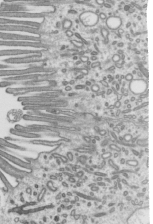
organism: Mouse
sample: Mouse epididymis efferent ductule cilia